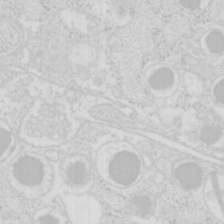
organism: Mouse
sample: Pancreas